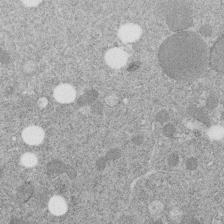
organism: C. elegans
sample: C. elegans embryo early stage